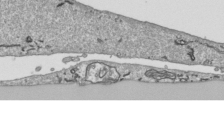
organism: Human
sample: Mitochondria in HCT116 cells